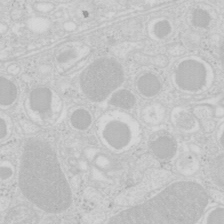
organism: Mouse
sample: Pancreas